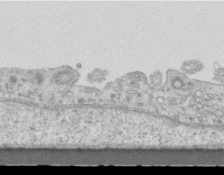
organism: Mouse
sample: Centriole in ependymal cells